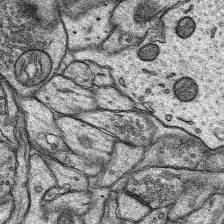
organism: Rat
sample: Hippocampus